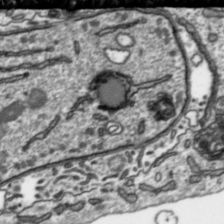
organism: Toxoplasma gondii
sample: Parasites in a vacuole inside a host cell